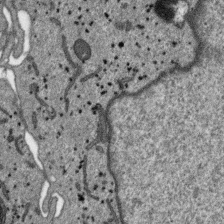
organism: Human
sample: Lung epithelial cells, uninfected (mock) control